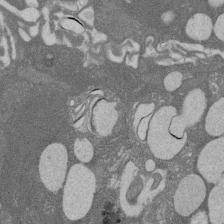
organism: Rat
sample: Salivary granule